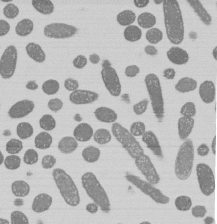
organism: E. coli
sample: Bacterial nucleoid